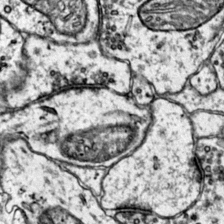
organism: Mouse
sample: Primary visual cortex